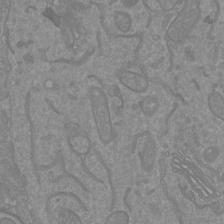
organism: Mouse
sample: Cortical neurons